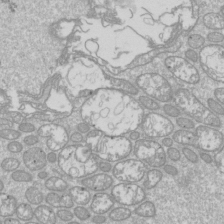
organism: Drosophila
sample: Cell division; meiosis; drosophila spermatocytes